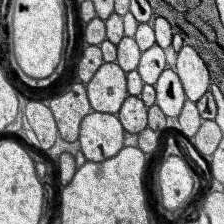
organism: Human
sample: Temporal Lobe